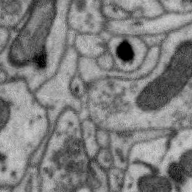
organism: Zebra finch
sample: Brain